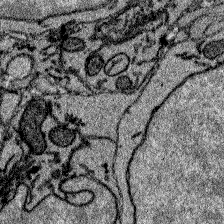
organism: Zebrafish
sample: Larval olfactory bulb